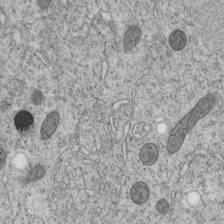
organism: C. elegans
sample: C. elegans embryo early stage